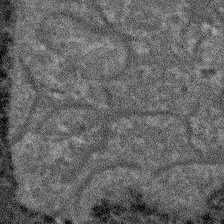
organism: Arabidopsis thaliana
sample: Root tip